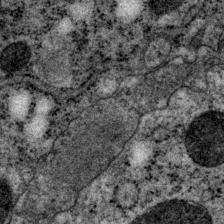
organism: P. pacificus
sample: Pharynx